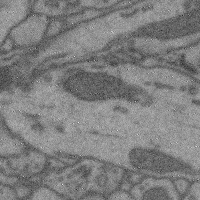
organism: Mouse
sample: Cerebral cortex